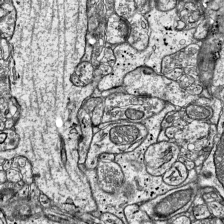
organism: Mouse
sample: Visual Cortex